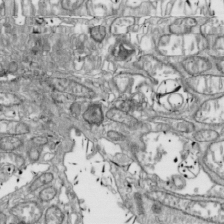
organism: Drosophila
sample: Cell division; meiosis; drosophila spermatocytes